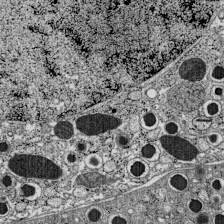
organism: C57BL Mouse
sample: Pancreatic islet